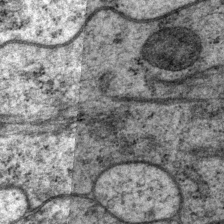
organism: P. pacificus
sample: Pharynx